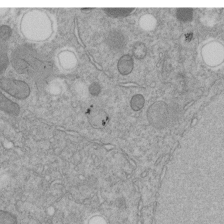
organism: C. elegans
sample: C. elegans embryo early stage